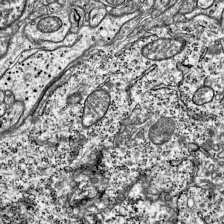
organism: Mouse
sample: Visual Cortex